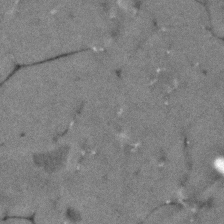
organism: Human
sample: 1205lu cells